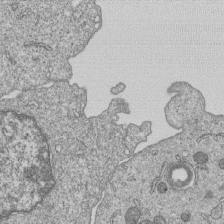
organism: Human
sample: MDA-MB-231 cells